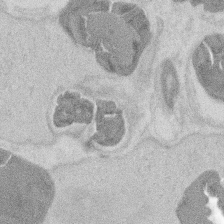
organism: Mouse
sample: T cell stromal cell synapse